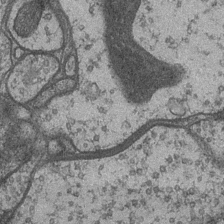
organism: Drosophila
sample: Optic medulla